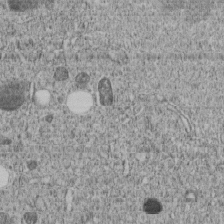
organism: C. elegans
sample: C. elegans embryo early stage